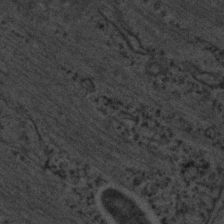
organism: C. elegans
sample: C. elegans embryo